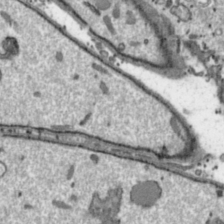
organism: Toxoplasma gondii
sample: Parasites in a vacuole inside a host cell